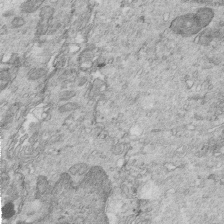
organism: Mouse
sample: Multiciliated cells